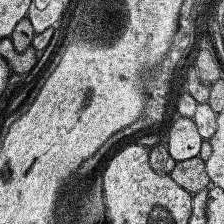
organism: Human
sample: Temporal Lobe